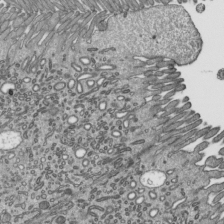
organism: Mouse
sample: Mouse epididymis efferent ductule cilia